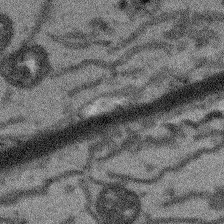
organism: Arabidopsis thaliana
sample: Root tip